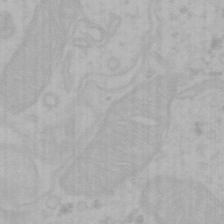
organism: Mouse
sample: Choroid plexus